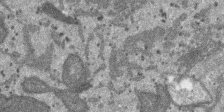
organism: Human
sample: Lung epithelial cells infected with SARS-CoV-2